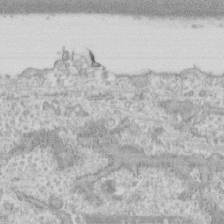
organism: Human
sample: CRL-1474